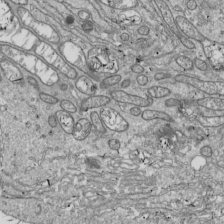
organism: Drosophila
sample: Cell division; meiosis; drosophila spermatocytes